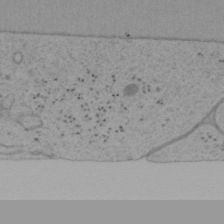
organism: Human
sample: HeLa cells